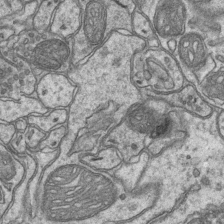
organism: Mouse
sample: CA1 Hippocampus